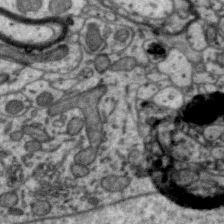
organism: Zebra finch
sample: Brain